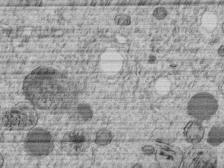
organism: C. elegans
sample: C. elegans embryo early stage